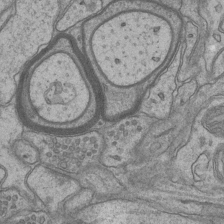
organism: Mouse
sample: CA1 Hippocampus